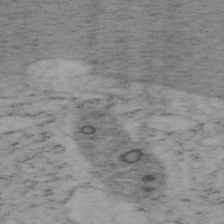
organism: Mouse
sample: OT-I killer T cells with ID8 ovarian cancer cells